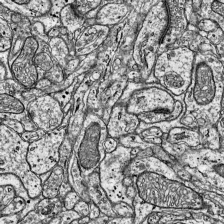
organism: Mouse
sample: Visual Cortex